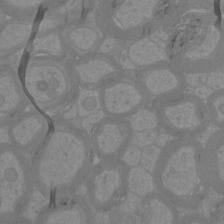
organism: Mouse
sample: Cortical neurons